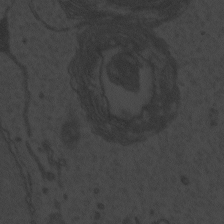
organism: Zebrafish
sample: Macrophage infected with Toxoplasma gondii